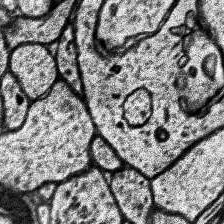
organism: Human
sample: Temporal Lobe